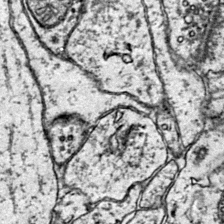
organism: Mouse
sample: Primary visual cortex